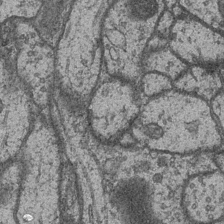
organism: Drosophila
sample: Optic medulla